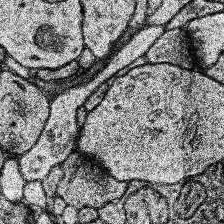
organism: Human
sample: Temporal Lobe